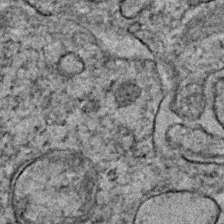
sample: Trachea